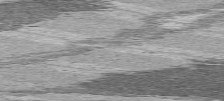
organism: C57BL Mouse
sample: Heart